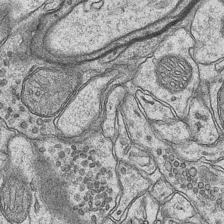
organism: Mouse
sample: CA1 Hippocampus